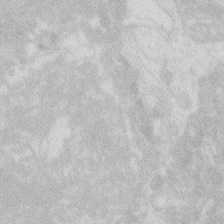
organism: Zebrafish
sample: Macrophage